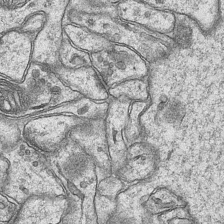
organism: Mouse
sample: CA1 Hippocampus